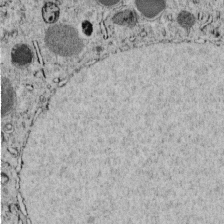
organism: C. elegans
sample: C. elegans embryo early stage